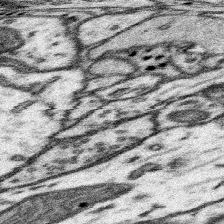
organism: Mouse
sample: Somatosensory cortex neuropil